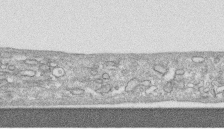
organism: Human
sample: CRL-1474